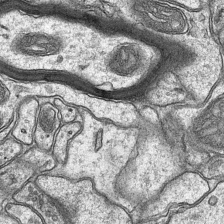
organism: Mouse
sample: CA1 Hippocampus